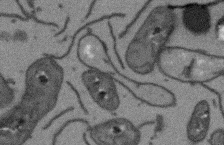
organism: Arabidopsis thaliana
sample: Root tip